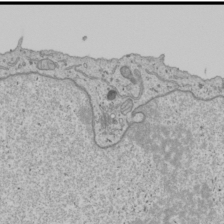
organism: Human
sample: Mitochondria in U2OS cells